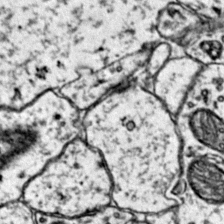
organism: Mouse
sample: Primary visual cortex